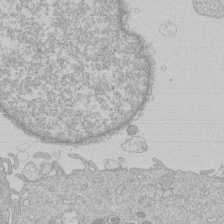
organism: Human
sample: Macrophage cells